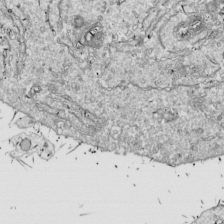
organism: Drosophila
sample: Cell division; meiosis; drosophila spermatocytes